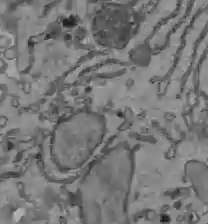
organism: C57BL Mouse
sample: Liver